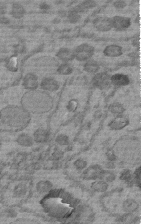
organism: C. elegans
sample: C. elegans embryo early stage